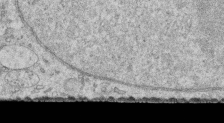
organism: Human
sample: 1205lu cells